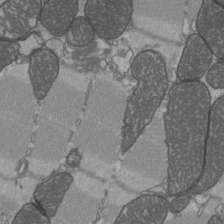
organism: C57BL Mouse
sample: Heart